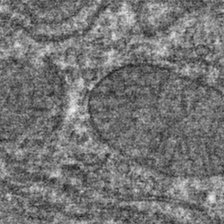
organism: Mouse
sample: Mouse hepatocytes